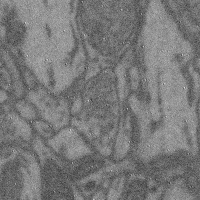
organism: Mouse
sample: Cerebral cortex